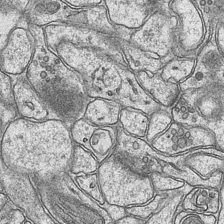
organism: Mouse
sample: CA1 Hippocampus